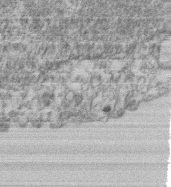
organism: Mouse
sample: T cell stromal cell synapse